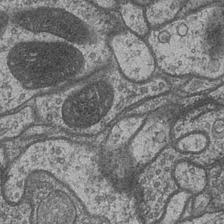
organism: Drosophila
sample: Optic medulla